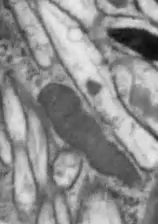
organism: Drosophila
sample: Optic lobe